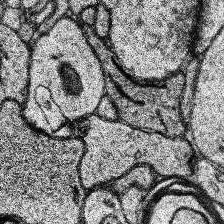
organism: Human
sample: Temporal Lobe